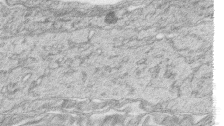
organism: Zebrafish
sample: synaptic ribbons in rod cells and cone cells